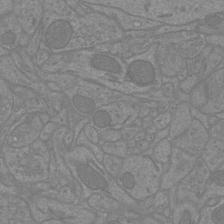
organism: Mouse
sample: Cortical neurons